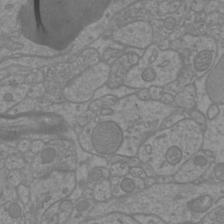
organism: Mouse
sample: Cortical neurons